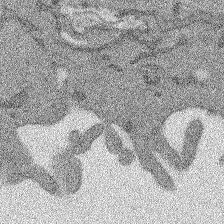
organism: Human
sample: HeLa cells